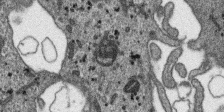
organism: Human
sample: Lung epithelial cells infected with SARS-CoV-2